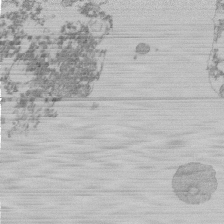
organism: Mouse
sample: Activated Pmel transgenic CD8+ T Cells